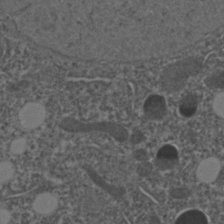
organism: C. elegans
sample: C. elegans embryo